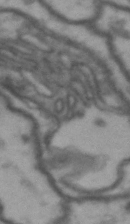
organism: Drosophila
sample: Brain